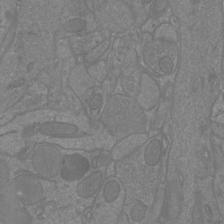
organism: Mouse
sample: Cortical neurons